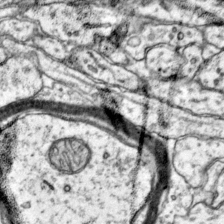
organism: Mouse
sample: Primary visual cortex